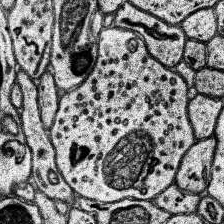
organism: Human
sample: Temporal Lobe